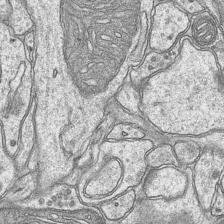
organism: Mouse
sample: CA1 Hippocampus